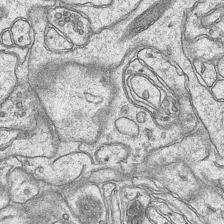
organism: Mouse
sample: CA1 Hippocampus